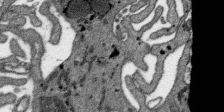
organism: Human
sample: Lung epithelial cells, uninfected (mock) control